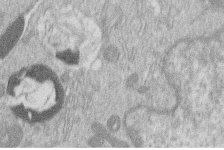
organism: Human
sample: Macrophage cells